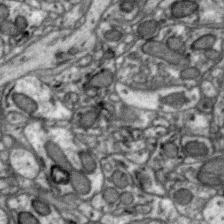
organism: Zebra finch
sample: Brain